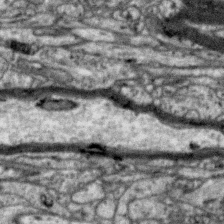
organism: Zebra finch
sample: Brain